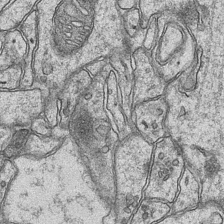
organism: Mouse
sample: CA1 Hippocampus